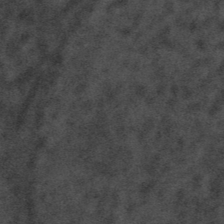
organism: Tuwongella immobilis